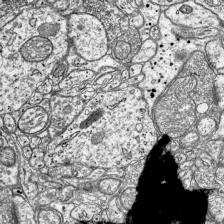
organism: Mouse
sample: Visual Cortex